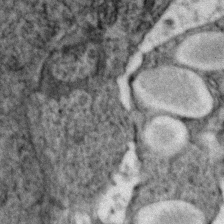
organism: Zebrafish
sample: Zebrafish embryo